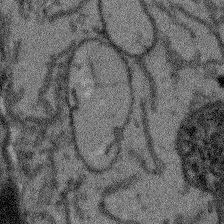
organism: Arabidopsis thaliana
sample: Root tip